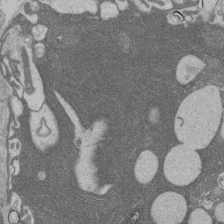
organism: Rat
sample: Salivary granule